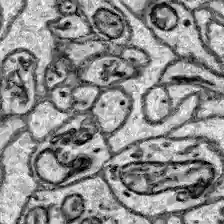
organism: Zebrafish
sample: Brain